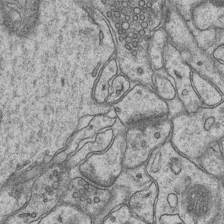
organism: Mouse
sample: CA1 Hippocampus